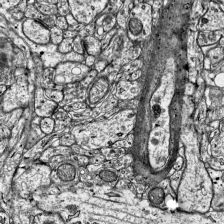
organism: Mouse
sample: Visual Cortex